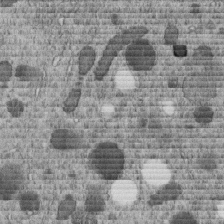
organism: C. elegans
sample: C. elegans embryo early stage